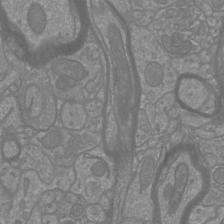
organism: Mouse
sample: Cortical neurons